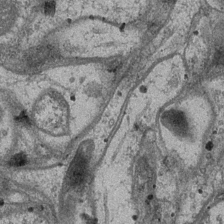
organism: Drosophila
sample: Optic medulla